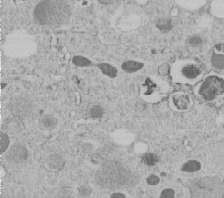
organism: C. elegans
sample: C. elegans embryo early stage